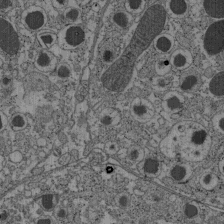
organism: C57BL Mouse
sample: Pancreatic islet